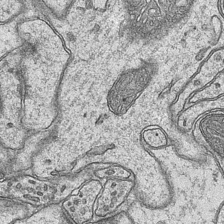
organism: Mouse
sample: CA1 Hippocampus